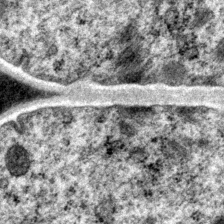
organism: P. pacificus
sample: Pharynx